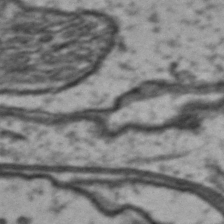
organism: Drosophila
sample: Brain